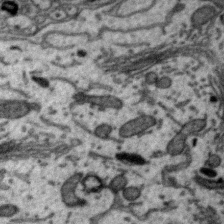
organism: Zebra finch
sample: Brain